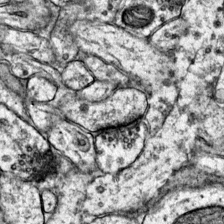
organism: Mouse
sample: Primary visual cortex